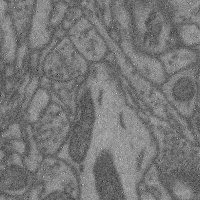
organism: Mouse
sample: Cerebral cortex